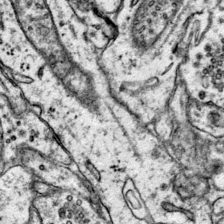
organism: Mouse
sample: Primary visual cortex